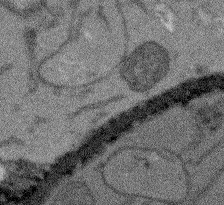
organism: Arabidopsis thaliana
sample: Root tip